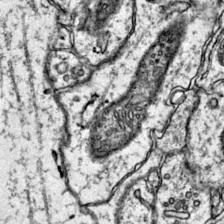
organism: Mouse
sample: Primary visual cortex